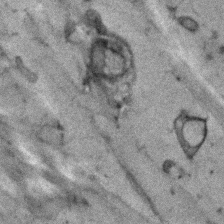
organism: Human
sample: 1205lu cells